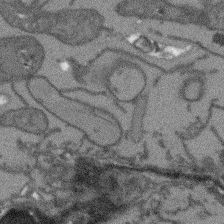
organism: Arabidopsis thaliana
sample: Root tip